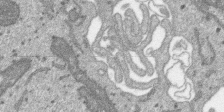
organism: Human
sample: Lung epithelial cells infected with SARS-CoV-2